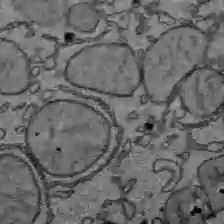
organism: C57BL Mouse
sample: Liver